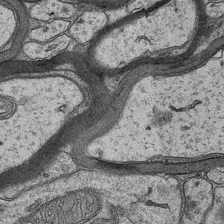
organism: Mouse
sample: CA1 Hippocampus